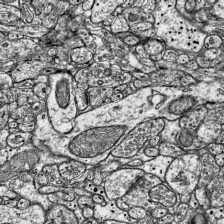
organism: Mouse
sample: Visual Cortex